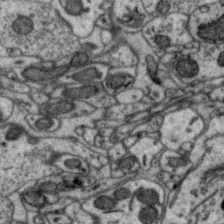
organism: Zebra finch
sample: Brain